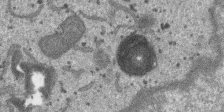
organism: Human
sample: Lung epithelial cells infected with SARS-CoV-2